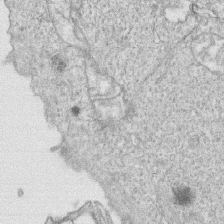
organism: Human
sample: HeLa cell HIV synapse